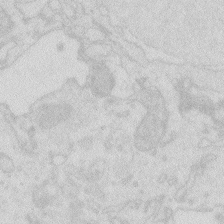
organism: Zebrafish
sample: Macrophage